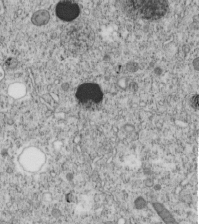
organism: C. elegans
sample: C. elegans embryo early stage